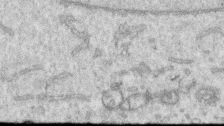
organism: Human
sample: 1205lu cells